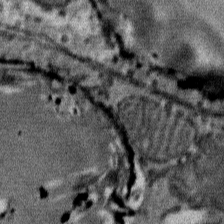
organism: Mouse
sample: Mouse Salivary gland